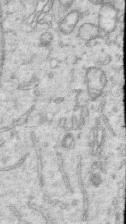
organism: Human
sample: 1205lu cells